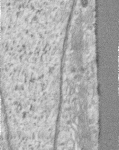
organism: Human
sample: Centriole in RPE cells